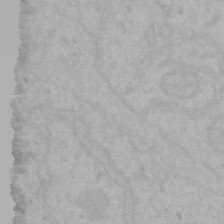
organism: Mouse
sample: Choroid plexus